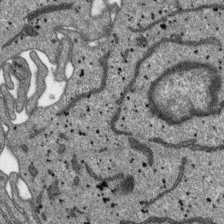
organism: Human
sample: Lung epithelial cells, uninfected (mock) control